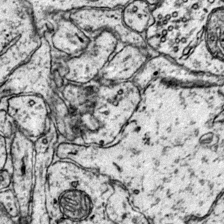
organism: Mouse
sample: Primary visual cortex